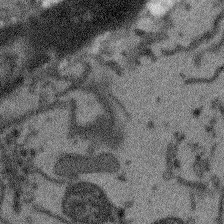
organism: Arabidopsis thaliana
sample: Root tip